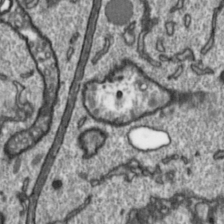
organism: Toxoplasma gondii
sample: Parasites in a vacuole inside a host cell